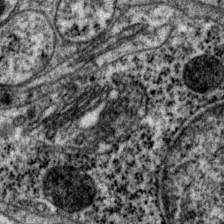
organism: P. pacificus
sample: Pharynx